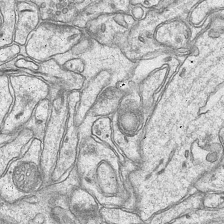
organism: Mouse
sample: CA1 Hippocampus